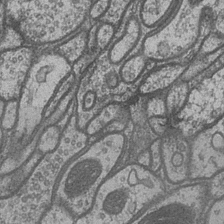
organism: Drosophila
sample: Optic medulla